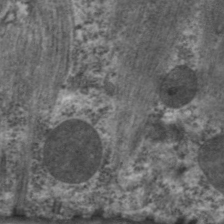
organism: C. elegans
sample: Pharynx